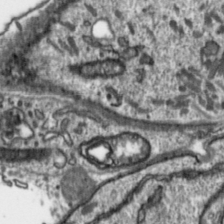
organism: Toxoplasma gondii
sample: Parasites in a vacuole inside a host cell